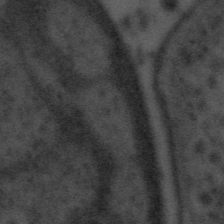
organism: Tuwongella immobilis